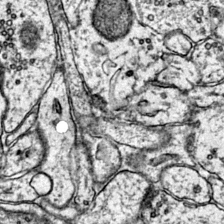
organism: Mouse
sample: Primary visual cortex